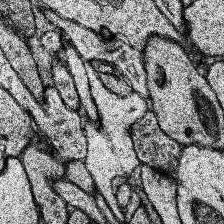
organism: Human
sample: Temporal Lobe